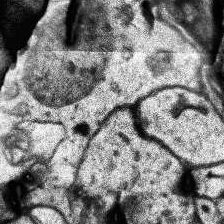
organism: Human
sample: Temporal Lobe